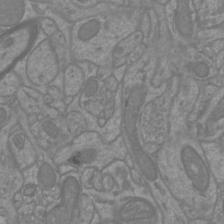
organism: Mouse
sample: Cortical neurons